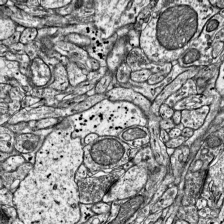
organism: Mouse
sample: Visual Cortex